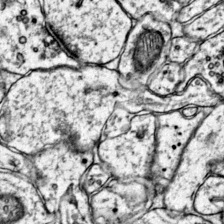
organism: Mouse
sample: Primary visual cortex